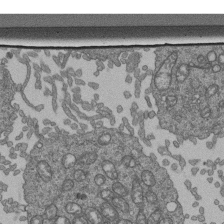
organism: Human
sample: Retinal organoid Rod and Cone cells